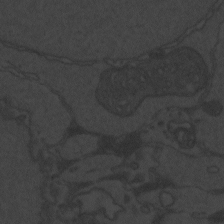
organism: Zebrafish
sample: Macrophage infected with Toxoplasma gondii